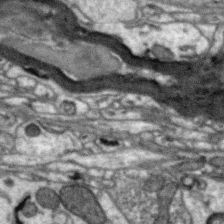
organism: Zebra finch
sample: Brain